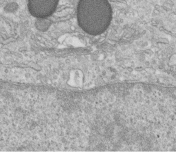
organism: Human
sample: Centriole in fibroblast cells